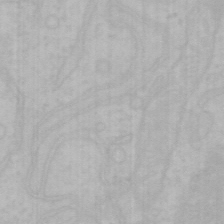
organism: Mouse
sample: Choroid plexus